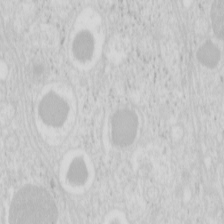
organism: Mouse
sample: Pancreas